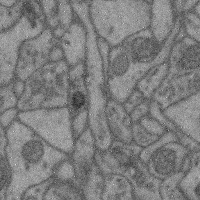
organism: Mouse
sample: Cerebral cortex